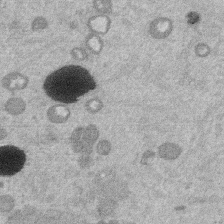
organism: Mouse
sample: Dividing mouse embryo 1 cell stage